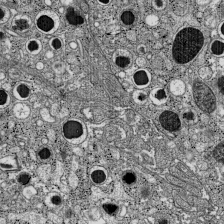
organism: C57BL Mouse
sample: Pancreatic islet